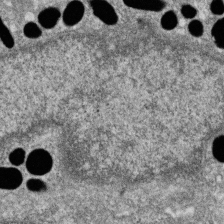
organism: Zebrafish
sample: Cilia; retinal pigment epithelium